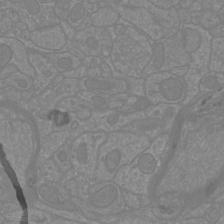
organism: Mouse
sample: Cortical neurons